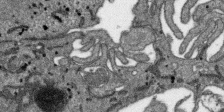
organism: Human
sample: Lung epithelial cells, uninfected (mock) control